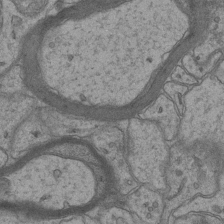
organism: Mouse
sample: CA1 Hippocampus